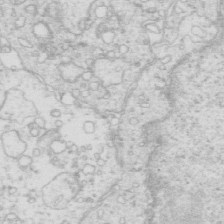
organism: Mouse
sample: Multiciliated cells